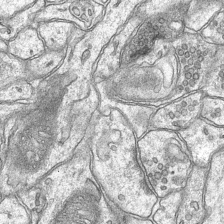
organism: Mouse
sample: CA1 Hippocampus